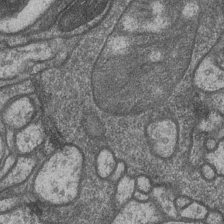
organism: Drosophila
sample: Optic medulla